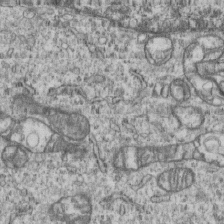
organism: Human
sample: MDA-MB-231 cells